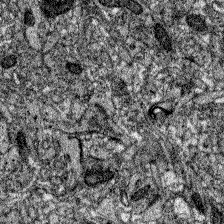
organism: Zebrafish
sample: Larval olfactory bulb